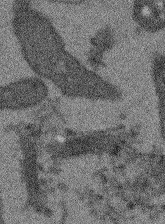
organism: Arabidopsis thaliana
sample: Root tip